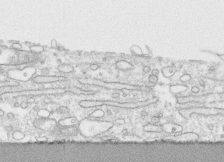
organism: Human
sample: CRL-1474